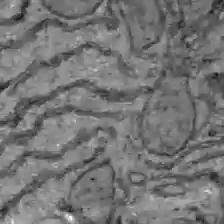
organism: C57BL Mouse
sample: Liver